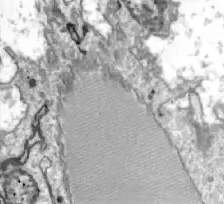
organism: Zebrafish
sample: Actinotrichia fibers